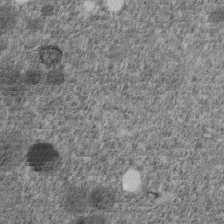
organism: C. elegans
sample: C. elegans embryo early stage